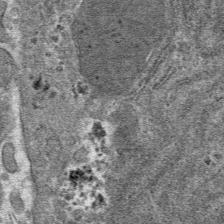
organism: Mouse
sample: Mouse hepatocytes